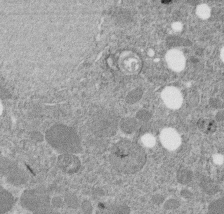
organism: C. elegans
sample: C. elegans embryo early stage